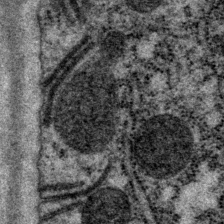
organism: P. pacificus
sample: Pharynx